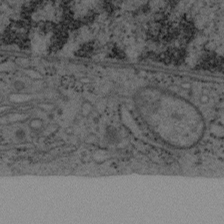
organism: Human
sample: HeLa cells